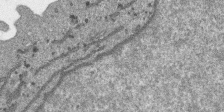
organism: Human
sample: Lung epithelial cells infected with SARS-CoV-2